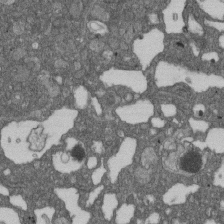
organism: Drosophila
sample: Nephrocyte